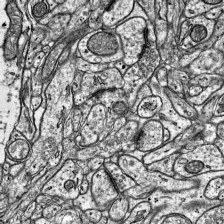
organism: Mouse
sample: Visual Cortex